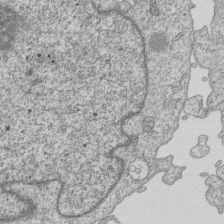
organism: Human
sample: MDA-MB-231 cells